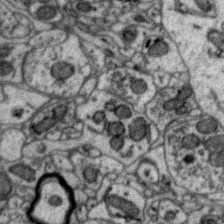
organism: Zebra finch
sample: Brain